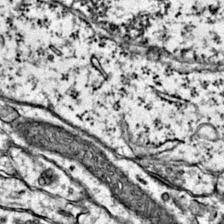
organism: Mouse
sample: Primary visual cortex